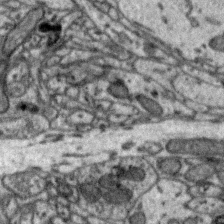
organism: Zebra finch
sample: Brain